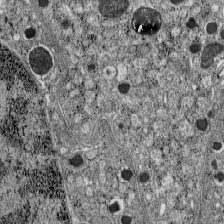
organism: C57BL Mouse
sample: Pancreatic islet